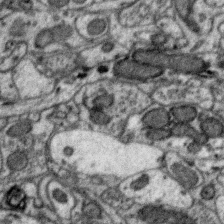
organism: Zebra finch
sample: Brain